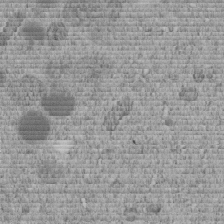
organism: C. elegans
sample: C. elegans embryo early stage